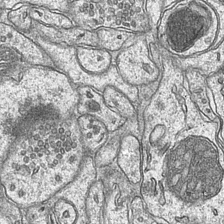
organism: Mouse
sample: CA1 Hippocampus